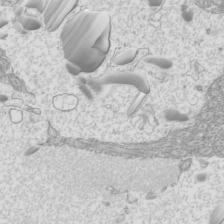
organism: Mouse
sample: Cilia; mouse epididymis